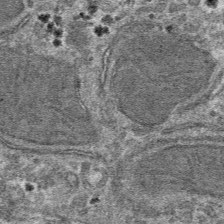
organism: Mouse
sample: Mouse hepatocytes